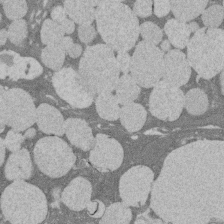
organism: Rat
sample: Salivary granule